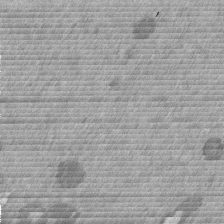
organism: Mouse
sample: Dividing mouse embryo 1 cell stage